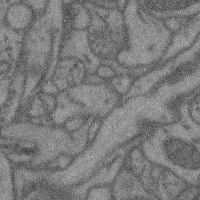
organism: Mouse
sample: Cerebral cortex